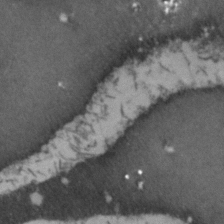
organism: Zebrafish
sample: Zebrafish embryo